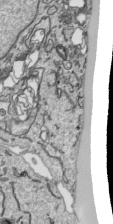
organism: Human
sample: Mitochondria in HCT116 cells